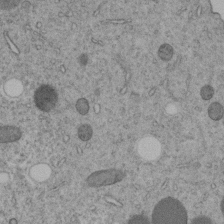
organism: C. elegans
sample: C. elegans embryo early stage